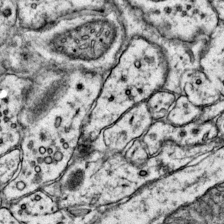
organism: Mouse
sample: Primary visual cortex